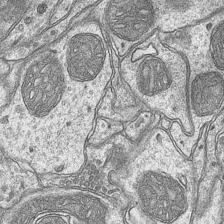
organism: Mouse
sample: CA1 Hippocampus